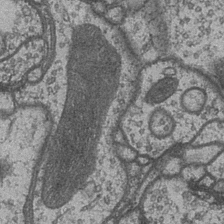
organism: Drosophila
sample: Optic medulla